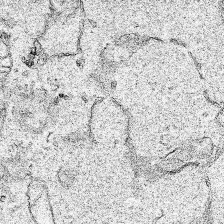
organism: Human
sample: Mitochondria in HCT116 cells